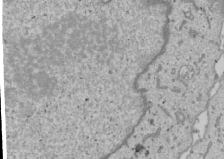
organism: Human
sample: Mitochondria in U2OS cells